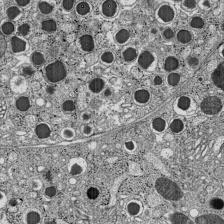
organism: C57BL Mouse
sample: Pancreatic islet